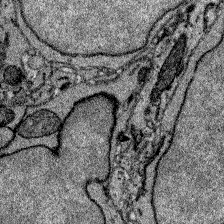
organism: Zebrafish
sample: Larval olfactory bulb